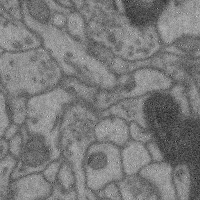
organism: Mouse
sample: Cerebral cortex